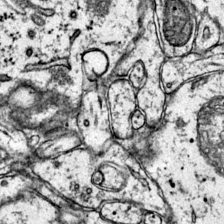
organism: Mouse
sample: Primary visual cortex